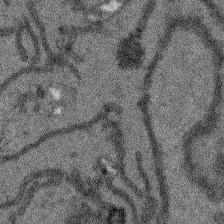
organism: Arabidopsis thaliana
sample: Root tip